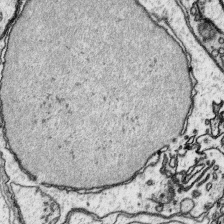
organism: Platynereis dumerilii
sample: Parapodia